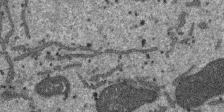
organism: Human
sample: Lung epithelial cells infected with SARS-CoV-2